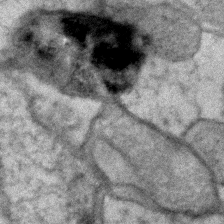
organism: Human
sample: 1205lu cells